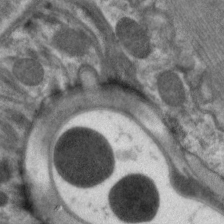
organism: C. elegans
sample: Pharynx